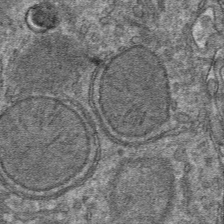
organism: Mouse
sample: Mouse hepatocytes